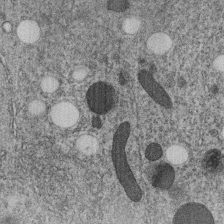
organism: C. elegans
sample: C. elegans embryo early stage